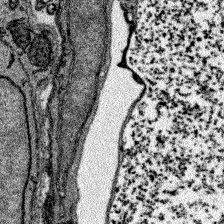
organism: Zebrafish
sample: Larval olfactory bulb